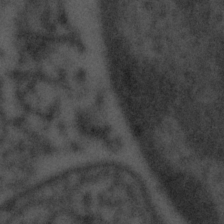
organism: Tuwongella immobilis